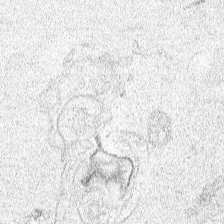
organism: Human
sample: Mitochondria in HCT116 cells